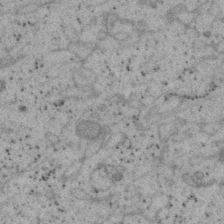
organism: Human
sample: HeLa cells